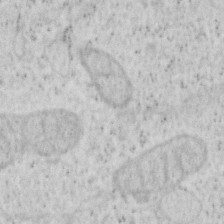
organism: Human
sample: HeLa cells